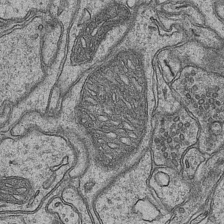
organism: Mouse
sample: CA1 Hippocampus